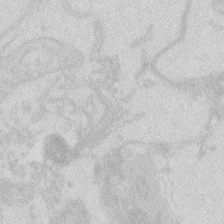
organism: Zebrafish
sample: Macrophage